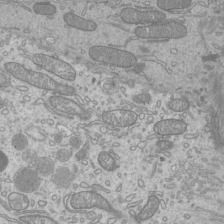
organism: Mouse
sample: Cilia; mouse epididymis